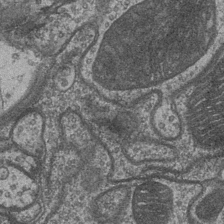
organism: Drosophila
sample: Optic medulla